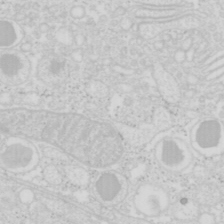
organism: Mouse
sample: Pancreas